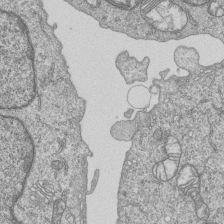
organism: Human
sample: MDA-MB-231 cells